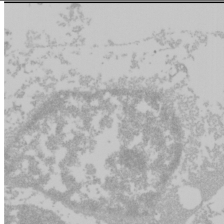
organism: Mouse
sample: Cancer cell death in ED-1 cells